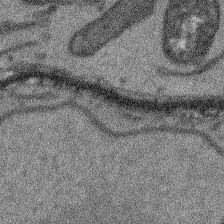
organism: Arabidopsis thaliana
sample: Root tip